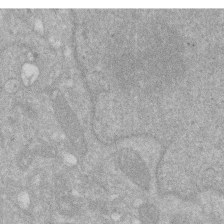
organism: Human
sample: HIV infected U937 cells